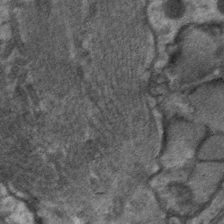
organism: C. elegans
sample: Pharynx